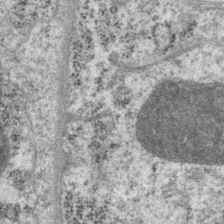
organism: P. pacificus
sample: Pharynx